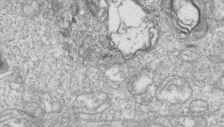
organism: Human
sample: HeLa cell HIV synapse